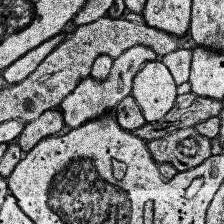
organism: Human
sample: Temporal Lobe